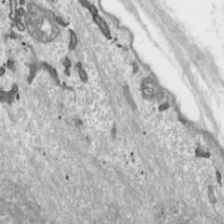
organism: Toxoplasma gondii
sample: Parasites in a vacuole inside a host cell